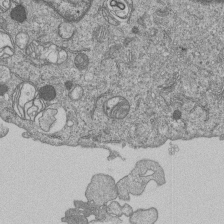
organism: Human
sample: MDA-MB-231 cells